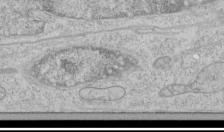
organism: Human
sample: Mitochondria in HCT116 cells